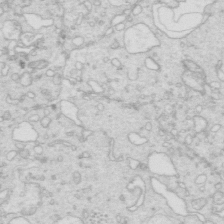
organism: Mouse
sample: Multiciliated cells